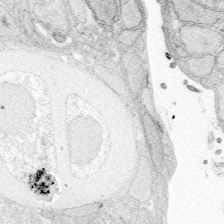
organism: Zebrafish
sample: Whole-Brain